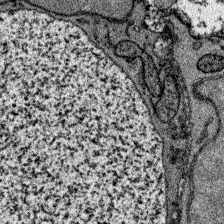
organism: Zebrafish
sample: Larval olfactory bulb